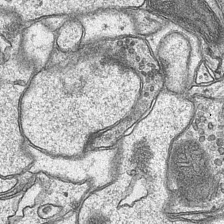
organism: Mouse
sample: CA1 Hippocampus